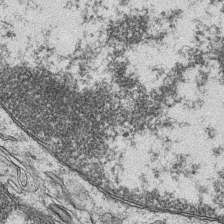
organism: Mouse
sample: CA1 Hippocampus